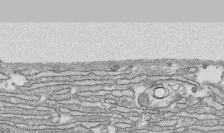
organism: Human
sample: CRL-1474